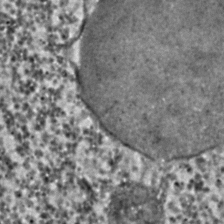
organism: C. elegans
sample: C. elegans embryo